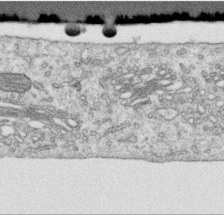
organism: Human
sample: Centriole in RPE cells